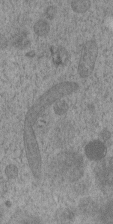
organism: C. elegans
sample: C. elegans embryo early stage